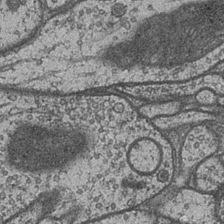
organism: Drosophila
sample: Optic medulla